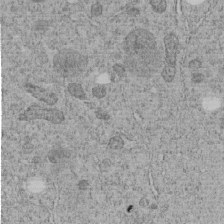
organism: C. elegans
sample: C. elegans embryo early stage